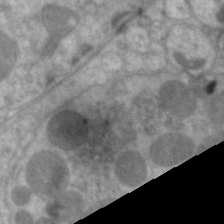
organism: C. elegans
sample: Pharynx